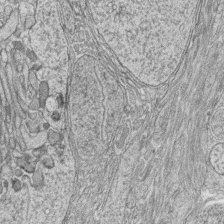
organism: Zebrafish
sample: synaptic ribbons in rod cells and cone cells